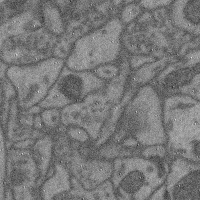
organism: Mouse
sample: Cerebral cortex